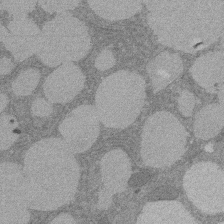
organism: Rat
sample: Salivary granule